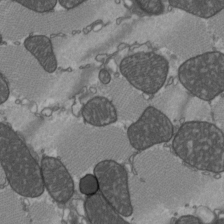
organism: C57BL Mouse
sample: Heart